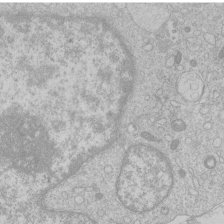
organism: Human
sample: Macrophage cells